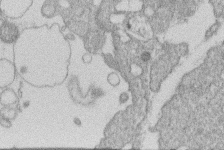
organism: Human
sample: Macrophage cells